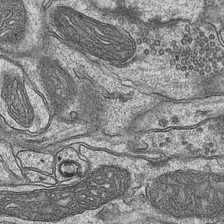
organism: Mouse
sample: CA1 Hippocampus